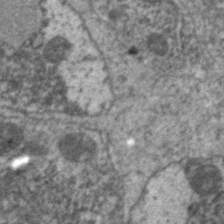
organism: C. elegans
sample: Pharynx